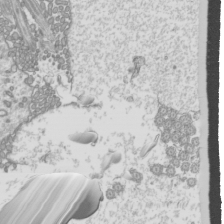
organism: Mouse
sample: Cilia; mouse epididymis